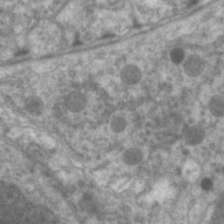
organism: C. elegans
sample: Pharynx